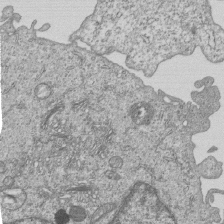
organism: Human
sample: MDA-MB-231 cells